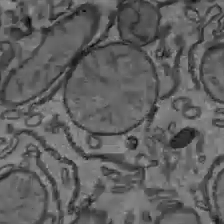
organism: C57BL Mouse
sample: Liver